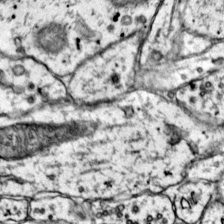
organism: Mouse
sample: Primary visual cortex